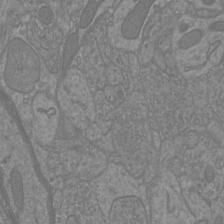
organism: Mouse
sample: Cortical neurons